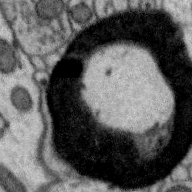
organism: Zebra finch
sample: Brain